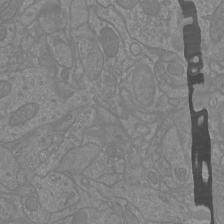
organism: Mouse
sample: Cortical neurons